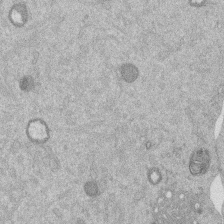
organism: Mouse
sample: Dividing mouse embryo 1 cell stage